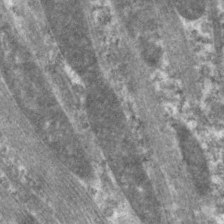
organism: C. elegans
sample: Pharynx